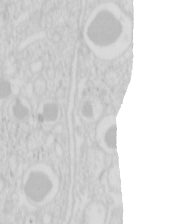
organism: Mouse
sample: Pancreas